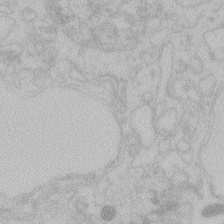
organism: Zebrafish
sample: Macrophage infected with Toxoplasma gondii